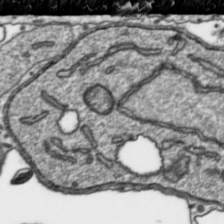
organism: Toxoplasma gondii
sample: Parasites in a vacuole inside a host cell